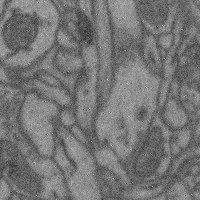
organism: Mouse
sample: Cerebral cortex